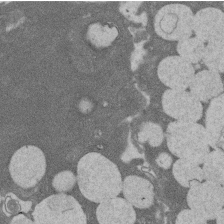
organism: Rat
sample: Salivary granule